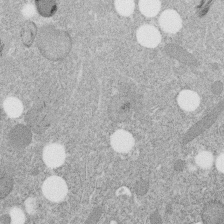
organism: C. elegans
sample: C. elegans embryo early stage